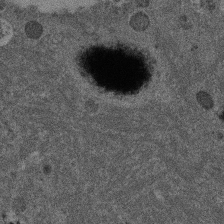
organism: Mouse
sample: Dividing mouse embryo 1 cell stage